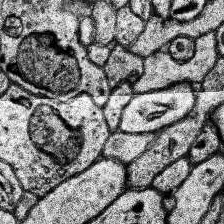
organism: Human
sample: Temporal Lobe